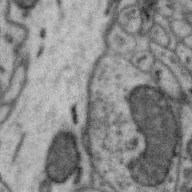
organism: Zebra finch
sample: Brain